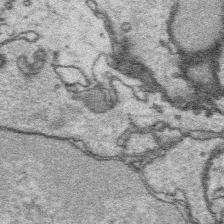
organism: Platynereis dumerilii